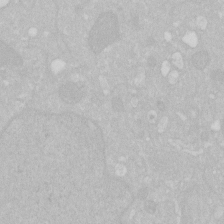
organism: Human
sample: HIV infected U937 cells